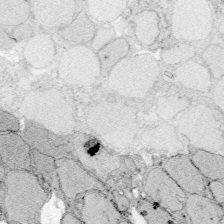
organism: Zebrafish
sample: Whole-Brain